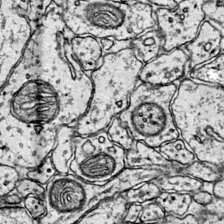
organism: Mouse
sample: Primary visual cortex